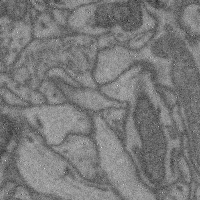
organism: Mouse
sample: Cerebral cortex